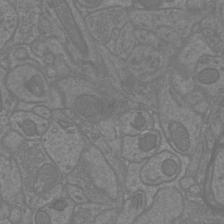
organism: Mouse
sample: Cortical neurons